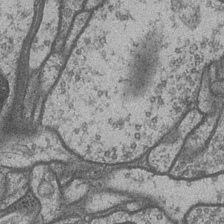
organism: Drosophila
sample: Optic medulla